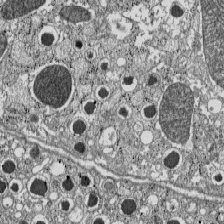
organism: C57BL Mouse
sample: Pancreatic islet